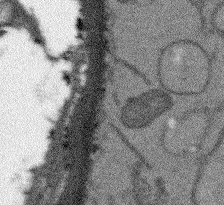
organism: Arabidopsis thaliana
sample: Root tip